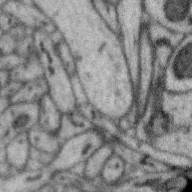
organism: Zebra finch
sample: Brain